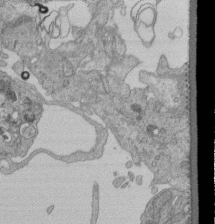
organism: Human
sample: Retinal organoid Rod and Cone cells